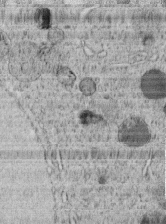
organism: C. elegans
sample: C. elegans embryo early stage